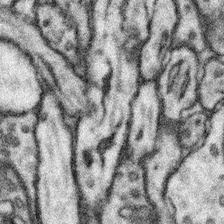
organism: Mouse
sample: Somatosensory cortex neuropil